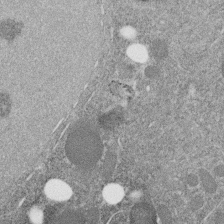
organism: C. elegans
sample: C. elegans embryo early stage